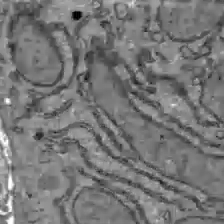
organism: C57BL Mouse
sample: Liver